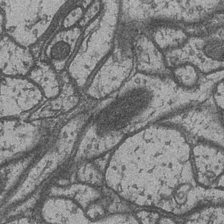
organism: Drosophila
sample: Optic medulla